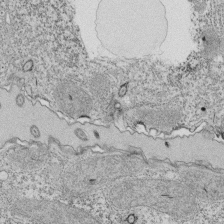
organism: Tetrahymena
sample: Cilia in tetrahymena